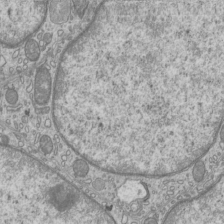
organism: Mouse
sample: Cilia; mouse epididymis